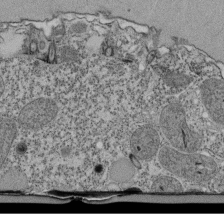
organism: Tetrahymena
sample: Cilia in tetrahymena